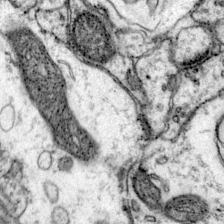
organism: Mouse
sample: Primary visual cortex